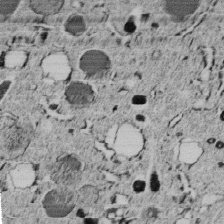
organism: C. elegans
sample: C. elegans embryo early stage